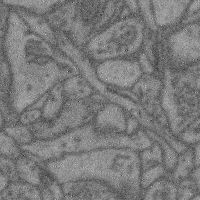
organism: Mouse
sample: Cerebral cortex